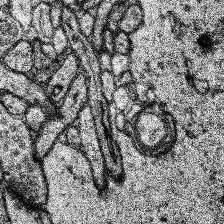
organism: Human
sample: Temporal Lobe